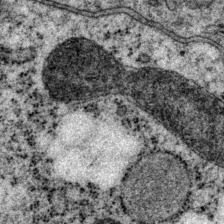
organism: P. pacificus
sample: Pharynx